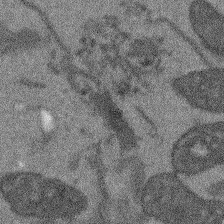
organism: Arabidopsis thaliana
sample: Root tip